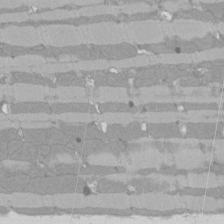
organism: Rat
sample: Left ventricle